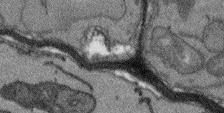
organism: Arabidopsis thaliana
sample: Root tip